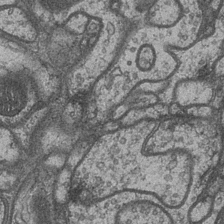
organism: Drosophila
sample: Optic medulla